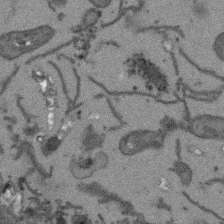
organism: Arabidopsis thaliana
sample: Root tip